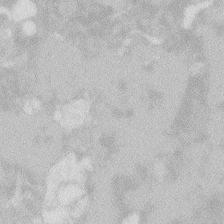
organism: Zebrafish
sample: Macrophage